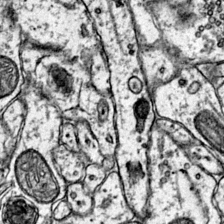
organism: Mouse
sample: Primary visual cortex